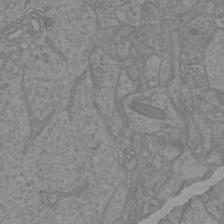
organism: Mouse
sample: Cortical neurons